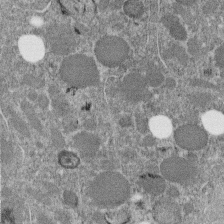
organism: C. elegans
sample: C. elegans embryo early stage